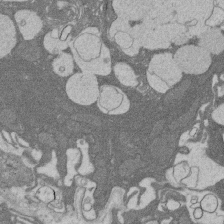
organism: Rat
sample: Salivary granule